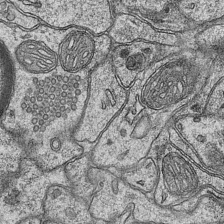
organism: Mouse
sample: CA1 Hippocampus